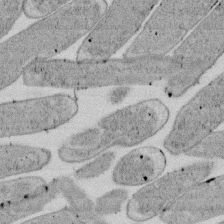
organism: E. coli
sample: Bacterial nucleoid